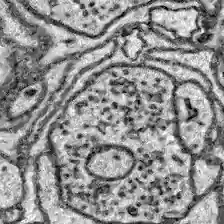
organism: Zebrafish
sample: Brain